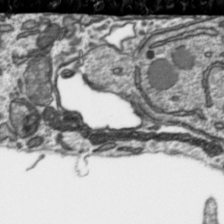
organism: Toxoplasma gondii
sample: Parasites in a vacuole inside a host cell